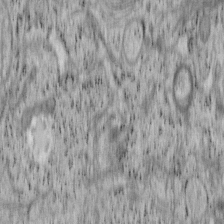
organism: Human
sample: HeLa cells